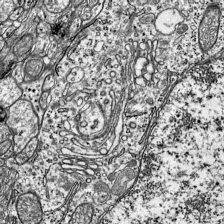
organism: Mouse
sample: Visual Cortex